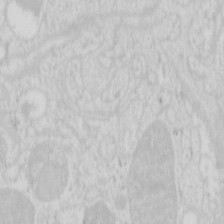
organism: Mouse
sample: Pancreas